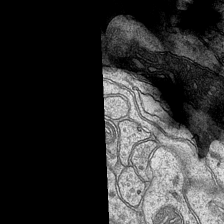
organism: Mouse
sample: CA1 Hippocampus